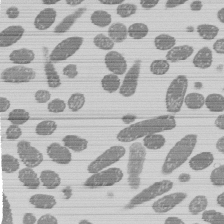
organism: E. coli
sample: Bacterial nucleoid